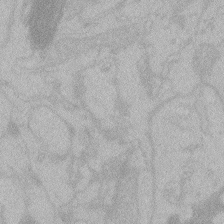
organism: Zebrafish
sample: Macrophage infected with Toxoplasma gondii